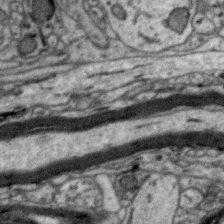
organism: Zebra finch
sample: Brain